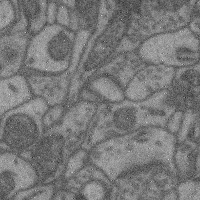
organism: Mouse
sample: Cerebral cortex